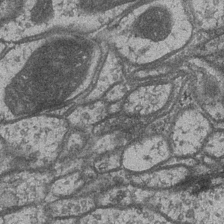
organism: Drosophila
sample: Optic medulla